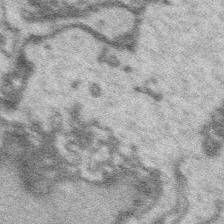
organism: Platynereis dumerilii